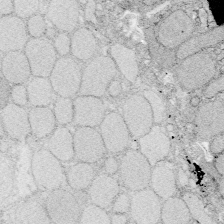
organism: Zebrafish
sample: Whole-Brain